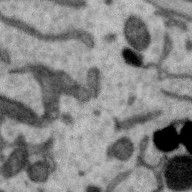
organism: Zebra finch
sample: Brain